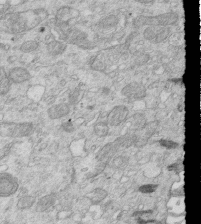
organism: Mouse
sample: Multiciliated cells